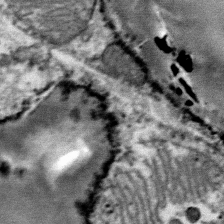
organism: Mouse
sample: Mouse Salivary gland